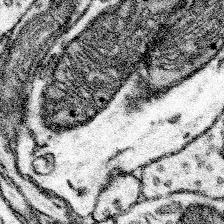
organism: Mouse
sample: Somatosensory cortex neuropil